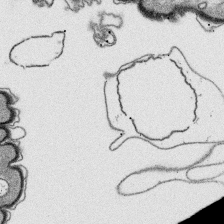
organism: Platynereis dumerilii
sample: Parapodia